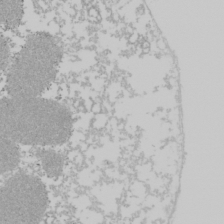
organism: Mouse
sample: Cancer cell death in ED-1 cells